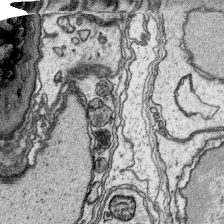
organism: Platynereis dumerilii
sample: Parapodia